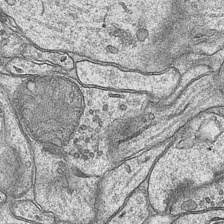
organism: Mouse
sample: CA1 Hippocampus